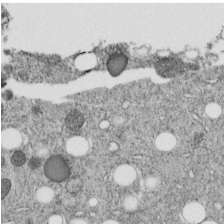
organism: C. elegans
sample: C. elegans embryo early stage